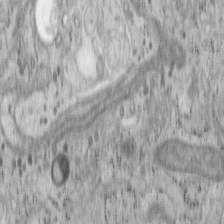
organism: Human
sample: HeLa cells